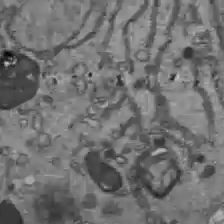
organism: C57BL Mouse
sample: Liver